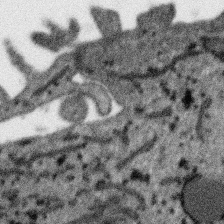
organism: Human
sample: Lung epithelial cells infected with SARS-CoV-2